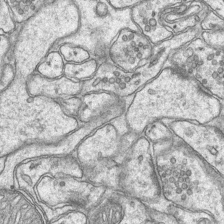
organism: Mouse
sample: CA1 Hippocampus